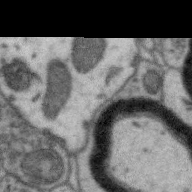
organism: Zebra finch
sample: Brain